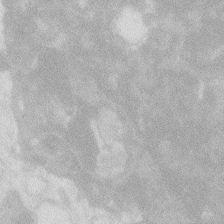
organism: Zebrafish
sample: Macrophage